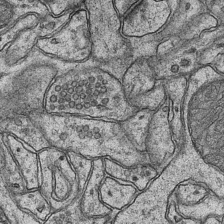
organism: Mouse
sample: CA1 Hippocampus